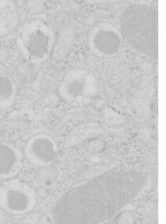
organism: Mouse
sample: Pancreas